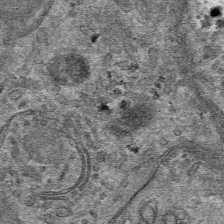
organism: Mouse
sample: Mouse hepatocytes